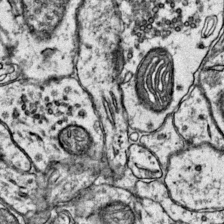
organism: Mouse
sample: Primary visual cortex